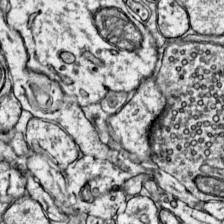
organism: Mouse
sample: Primary visual cortex